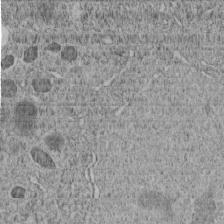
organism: C. elegans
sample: C. elegans embryo early stage